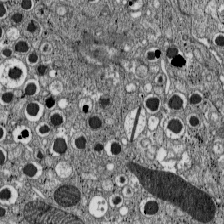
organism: C57BL Mouse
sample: Pancreatic islet